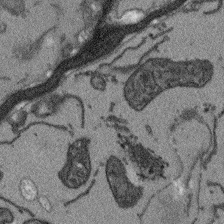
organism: Arabidopsis thaliana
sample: Root tip